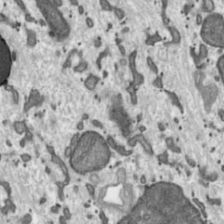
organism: Toxoplasma gondii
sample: Parasites in a vacuole inside a host cell